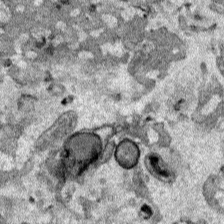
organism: Human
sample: Mitochondria in HCT116 cells